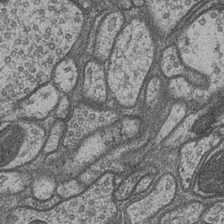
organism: Drosophila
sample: Optic medulla